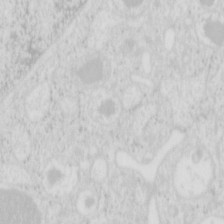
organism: Mouse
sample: Pancreas